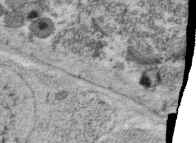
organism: C. elegans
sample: C. elegans oocyte; sperm cells